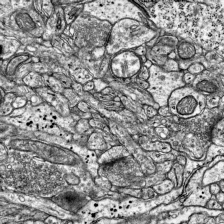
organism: Mouse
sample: Visual Cortex